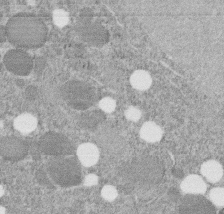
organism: C. elegans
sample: C. elegans embryo early stage